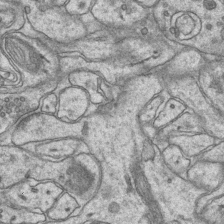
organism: Mouse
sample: CA1 Hippocampus